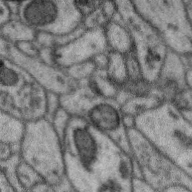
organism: Zebra finch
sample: Brain